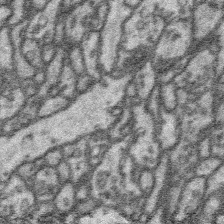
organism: Platynereis dumerilii